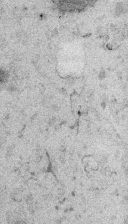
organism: Embia sp.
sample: Silk gland